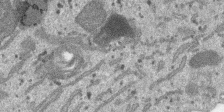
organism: Human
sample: Lung epithelial cells infected with SARS-CoV-2